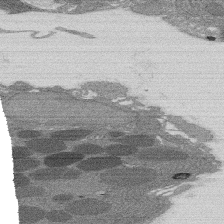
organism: Rat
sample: Salivary granule